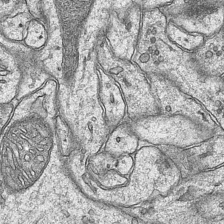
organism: Mouse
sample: CA1 Hippocampus